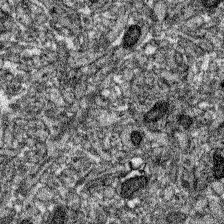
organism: Zebrafish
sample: Larval olfactory bulb